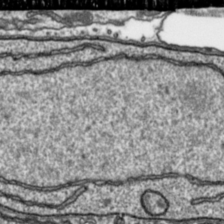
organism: Toxoplasma gondii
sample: Parasites in a vacuole inside a host cell